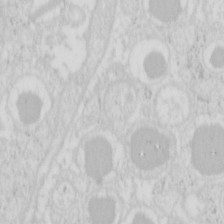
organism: Mouse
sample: Pancreas